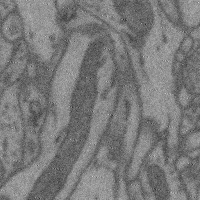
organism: Mouse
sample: Cerebral cortex